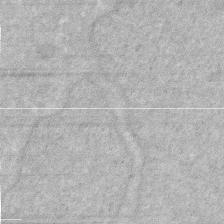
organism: Human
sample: HIV infected U937 cells